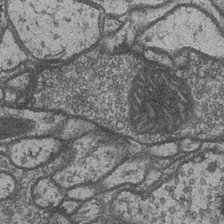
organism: Drosophila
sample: Optic medulla